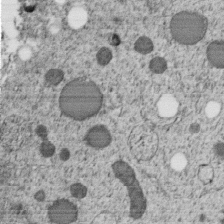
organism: C. elegans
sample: C. elegans embryo early stage